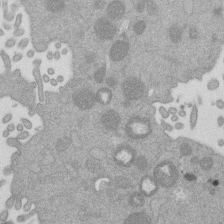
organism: Mouse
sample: Dividing mouse embryo 1 cell stage